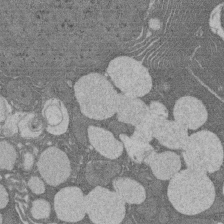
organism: Rat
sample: Salivary granule